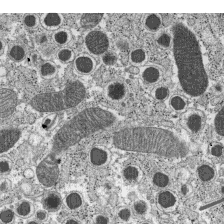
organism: C57BL Mouse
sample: Pancreatic islet